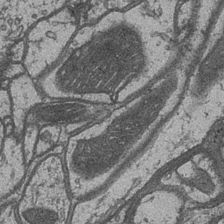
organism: Drosophila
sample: Optic medulla